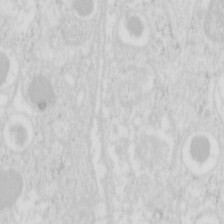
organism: Mouse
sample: Pancreas